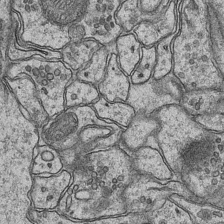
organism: Mouse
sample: CA1 Hippocampus